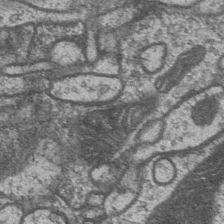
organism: Drosophila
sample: Optic medulla